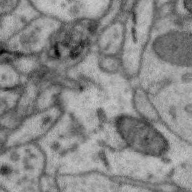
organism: Zebra finch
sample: Brain